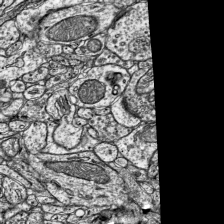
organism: Mouse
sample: Visual Cortex